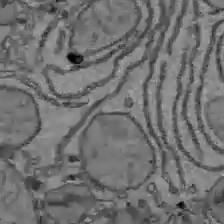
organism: C57BL Mouse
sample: Liver